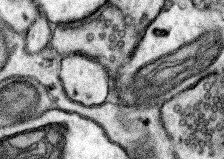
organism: Mouse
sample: Somatosensory cortex neuropil